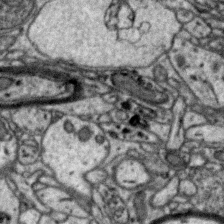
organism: Zebra finch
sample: Brain